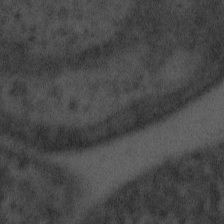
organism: Tuwongella immobilis